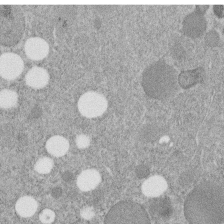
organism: C. elegans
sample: C. elegans embryo early stage